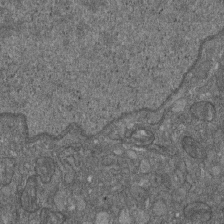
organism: Drosophila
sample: Nephrocyte